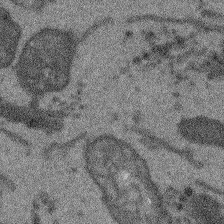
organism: Arabidopsis thaliana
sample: Root tip